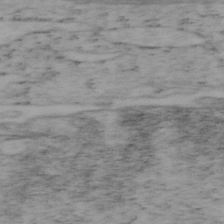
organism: Mouse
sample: OT-I killer T cells with ID8 ovarian cancer cells